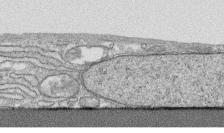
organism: Human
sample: CRL-1474